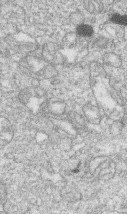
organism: Human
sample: HeLa cell HIV synapse